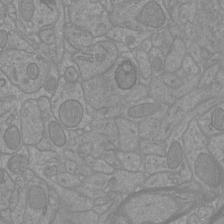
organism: Mouse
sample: Cortical neurons